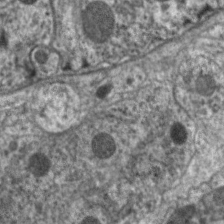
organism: C. elegans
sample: Pharynx